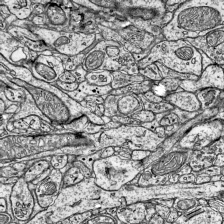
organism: Mouse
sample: Visual Cortex